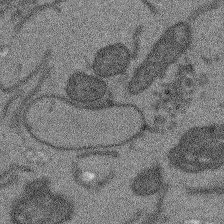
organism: Arabidopsis thaliana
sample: Root tip